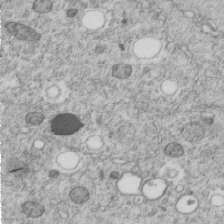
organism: C. elegans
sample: C. elegans embryo early stage